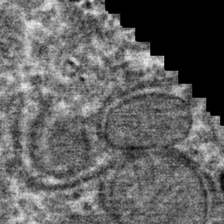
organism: Mouse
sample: Mouse hepatocytes